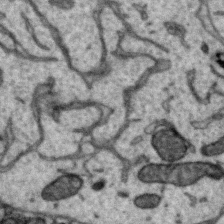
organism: Zebra finch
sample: Brain